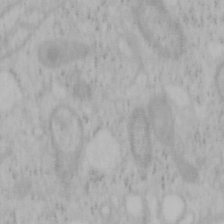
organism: Mouse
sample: OT-I killer T cells with ID8 ovarian cancer cells